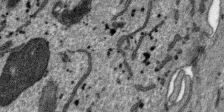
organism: Human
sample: Lung epithelial cells, uninfected (mock) control